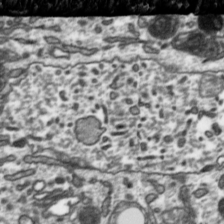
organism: Toxoplasma gondii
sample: Parasites in a vacuole inside a host cell